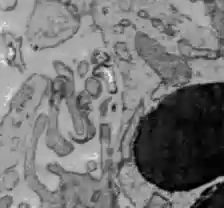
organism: C57BL Mouse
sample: Liver